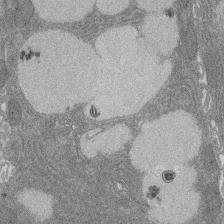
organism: Rat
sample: Salivary granule